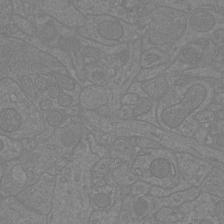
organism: Mouse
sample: Cortical neurons